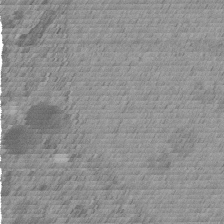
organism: C. elegans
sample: C. elegans embryo early stage